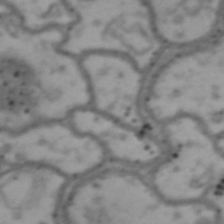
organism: Drosophila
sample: Brain